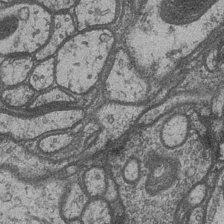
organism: Drosophila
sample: Optic medulla